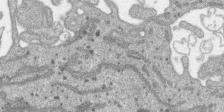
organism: Human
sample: Lung epithelial cells infected with SARS-CoV-2